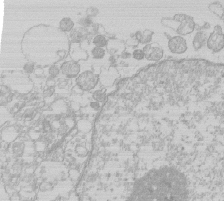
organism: Human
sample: Macrophage cells